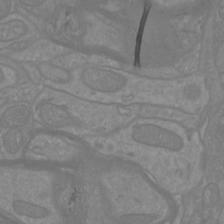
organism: Mouse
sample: Cortical neurons